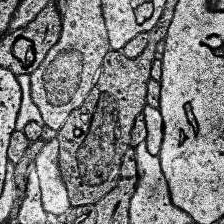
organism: Human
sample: Temporal Lobe